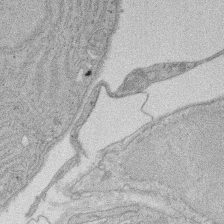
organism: Rat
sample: Salivary granule